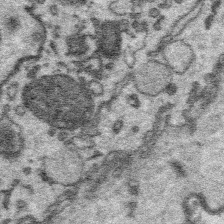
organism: Platynereis dumerilii